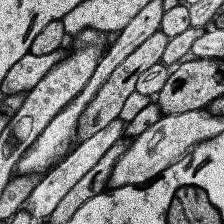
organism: Human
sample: Temporal Lobe